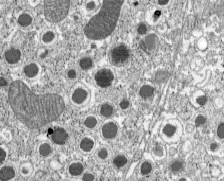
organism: C57BL Mouse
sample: Pancreatic islet